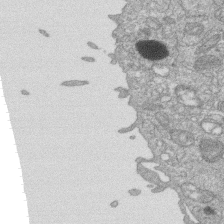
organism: Human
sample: HeLa cell HIV synapse